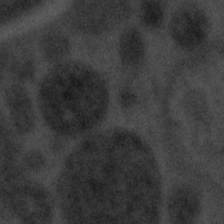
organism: Tuwongella immobilis